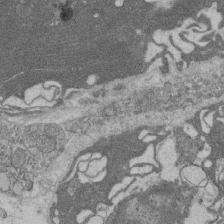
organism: Rat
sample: Salivary granule